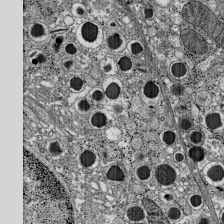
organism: C57BL Mouse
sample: Pancreatic islet